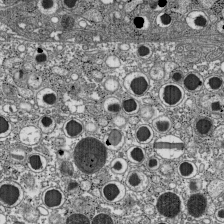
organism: C57BL Mouse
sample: Pancreatic islet